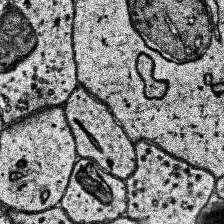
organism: Human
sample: Temporal Lobe